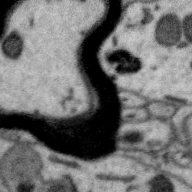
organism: Zebra finch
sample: Brain